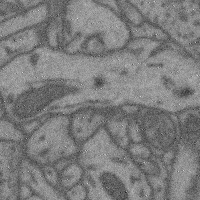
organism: Mouse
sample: Cerebral cortex